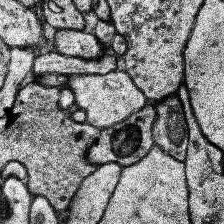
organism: Human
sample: Temporal Lobe